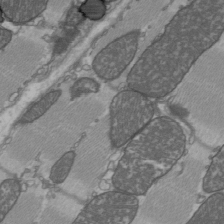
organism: C57BL Mouse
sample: Heart